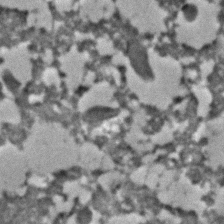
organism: C. elegans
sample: C. elegans embryo